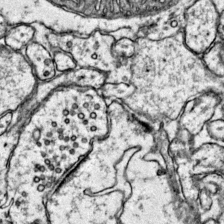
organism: Mouse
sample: Primary visual cortex